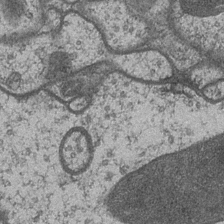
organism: Drosophila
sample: Optic medulla